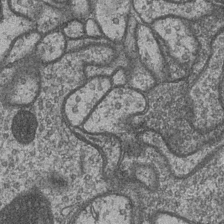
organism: Drosophila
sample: Optic medulla